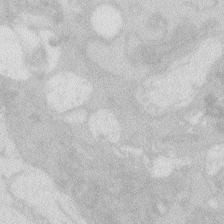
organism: Zebrafish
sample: Macrophage